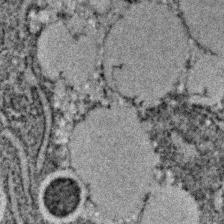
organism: C. elegans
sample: C. elegans embryo